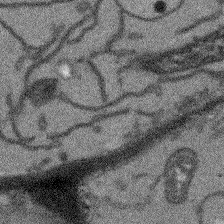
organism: Arabidopsis thaliana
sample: Root tip